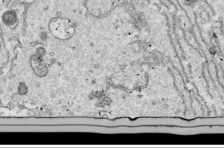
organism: Drosophila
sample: Cell division; meiosis; drosophila spermatocytes